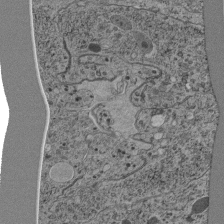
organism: C. elegans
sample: C. elegans pharynx